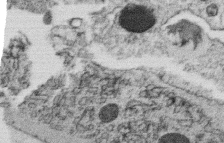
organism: C. elegans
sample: C. elegans oocyte; sperm cells